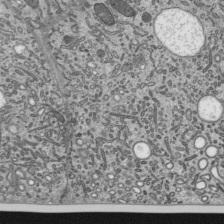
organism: Mouse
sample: Mouse epididymis efferent ductule cilia